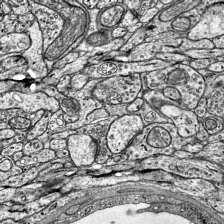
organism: Mouse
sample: Visual Cortex